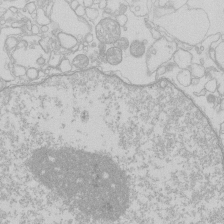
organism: Human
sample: Macrophage cells